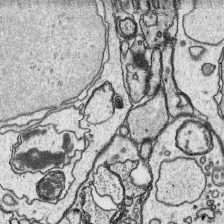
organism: Platynereis dumerilii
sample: Parapodia